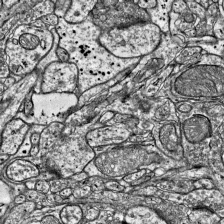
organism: Mouse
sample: Visual Cortex